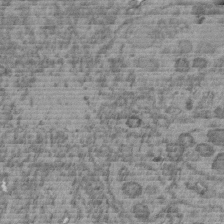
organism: C. elegans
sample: C. elegans embryo early stage